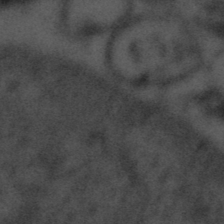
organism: Tuwongella immobilis